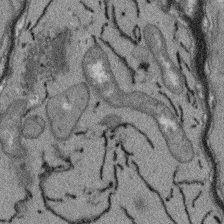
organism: Arabidopsis thaliana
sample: Root tip